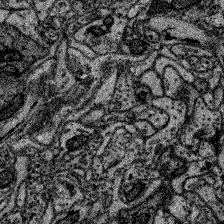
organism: Zebrafish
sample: Larval olfactory bulb